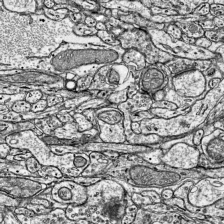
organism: Mouse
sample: Visual Cortex